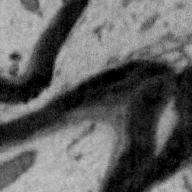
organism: Zebra finch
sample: Brain